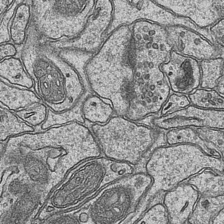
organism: Mouse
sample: CA1 Hippocampus